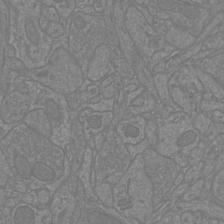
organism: Mouse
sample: Cortical neurons